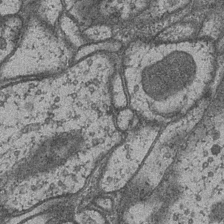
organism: Drosophila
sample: Optic medulla